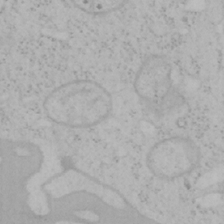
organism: Mouse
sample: OT-I killer T cells with ID8 ovarian cancer cells